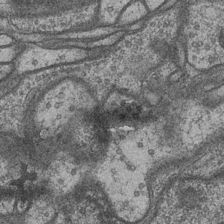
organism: Drosophila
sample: Optic medulla